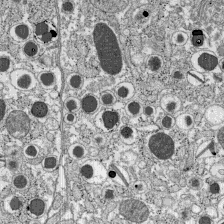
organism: C57BL Mouse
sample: Pancreatic islet